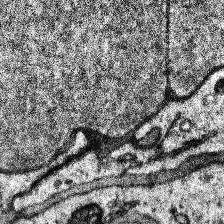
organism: Human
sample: Temporal Lobe